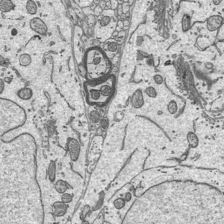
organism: Mouse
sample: Suprachiasmatic nucleus